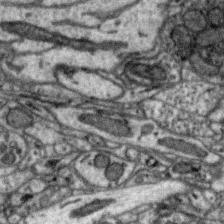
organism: Zebra finch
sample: Brain